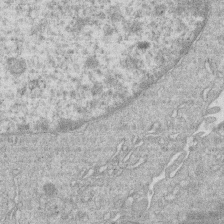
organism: Human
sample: Macrophage cells